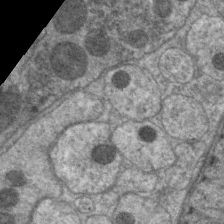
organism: C. elegans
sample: Pharynx